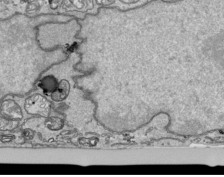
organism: Human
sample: Mitochondria in HCT116 cells